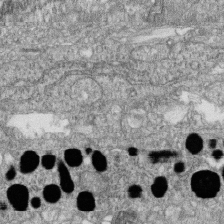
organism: Zebrafish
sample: Cilia; retinal pigment epithelium